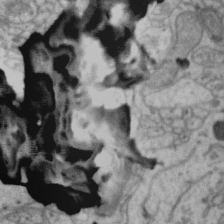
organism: Zebra finch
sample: Brain